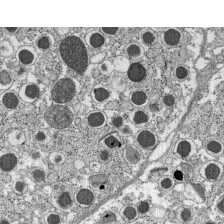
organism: C57BL Mouse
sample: Pancreatic islet